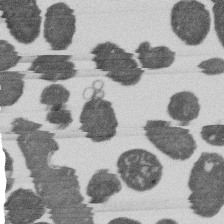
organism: E. coli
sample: Bacterial nucleoid